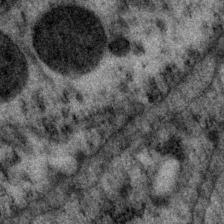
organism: P. pacificus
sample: Pharynx